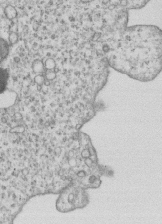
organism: Human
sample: MDA-MB-231 cells